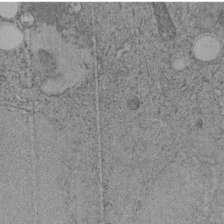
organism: C. elegans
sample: C. elegans embryo early stage